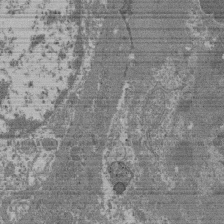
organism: Mouse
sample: Glomerulus